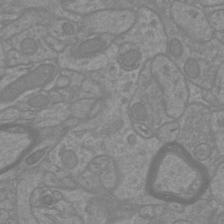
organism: Mouse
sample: Cortical neurons